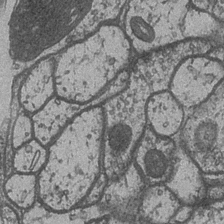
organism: Drosophila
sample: Optic medulla